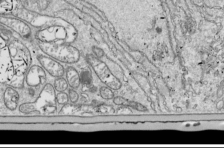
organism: Drosophila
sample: Cell division; meiosis; drosophila spermatocytes